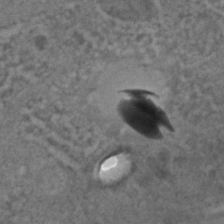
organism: C. elegans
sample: C. elegans embryo